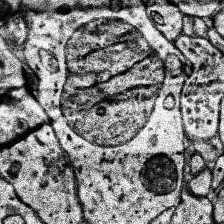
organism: Human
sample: Temporal Lobe